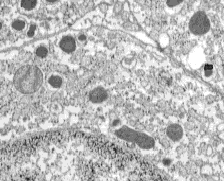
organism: C57BL Mouse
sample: Pancreatic islet